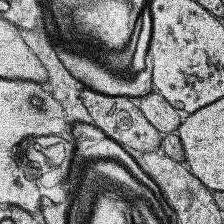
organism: Human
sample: Temporal Lobe